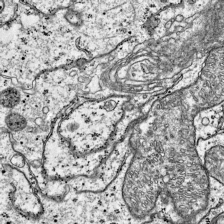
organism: Mouse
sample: Visual Cortex